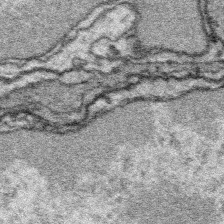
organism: Platynereis dumerilii